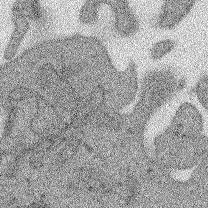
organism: Human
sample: HeLa cells